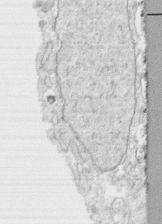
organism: Human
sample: CRL-1474